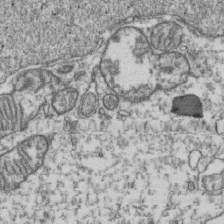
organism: Human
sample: Activated Jurkat CD4+ T cells